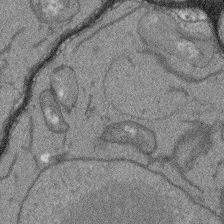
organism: Arabidopsis thaliana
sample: Root tip